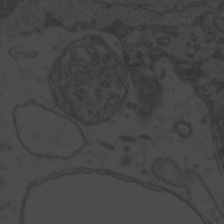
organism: Zebrafish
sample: Macrophage infected with Toxoplasma gondii